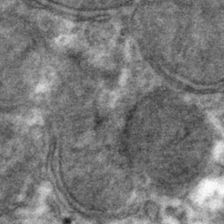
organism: Mouse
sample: Mouse hepatocytes